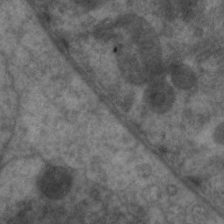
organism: C. elegans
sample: Pharynx